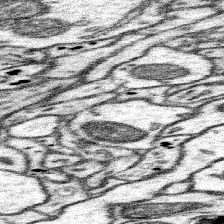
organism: Mouse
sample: Somatosensory cortex neuropil